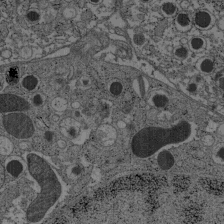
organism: C57BL Mouse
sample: Pancreatic islet